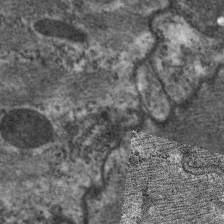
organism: C. elegans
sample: Pharynx